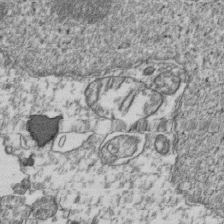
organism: Human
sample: Activated Jurkat CD4+ T cells